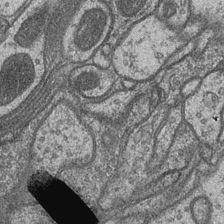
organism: Drosophila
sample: Optic medulla